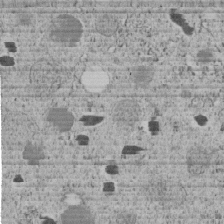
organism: C. elegans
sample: C. elegans embryo early stage